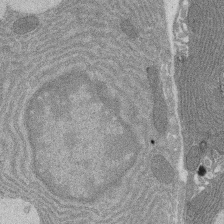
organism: Rat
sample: Salivary granule